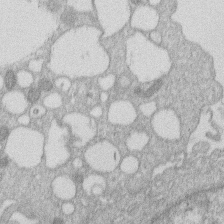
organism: Human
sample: Macrophage cells